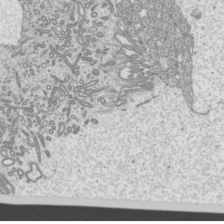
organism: Mouse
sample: Cilia; mouse epididymis